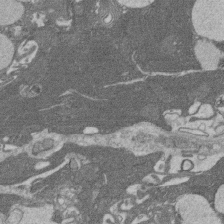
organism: Rat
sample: Salivary granule